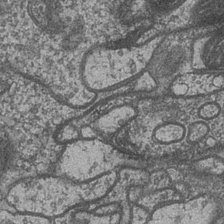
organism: Drosophila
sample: Optic medulla